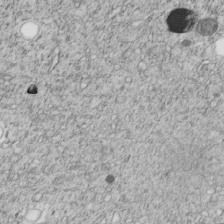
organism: C. elegans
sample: C. elegans embryo early stage